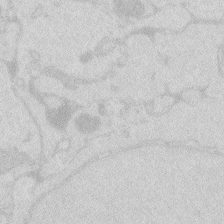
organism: Zebrafish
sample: Macrophage